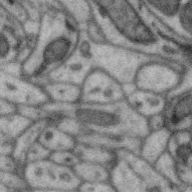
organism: Zebra finch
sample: Brain